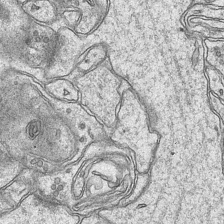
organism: Mouse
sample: CA1 Hippocampus